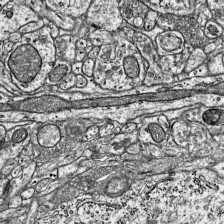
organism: Mouse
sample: Visual Cortex